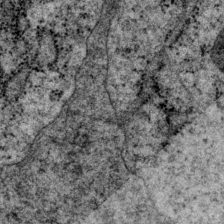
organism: P. pacificus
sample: Pharynx